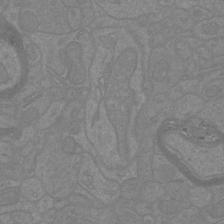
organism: Mouse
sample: Cortical neurons